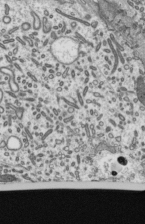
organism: Mouse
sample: Mouse epididymis efferent ductule cilia